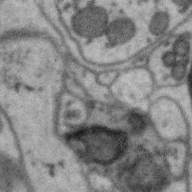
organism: Zebra finch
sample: Brain